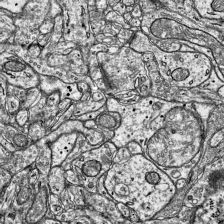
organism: Mouse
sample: Visual Cortex